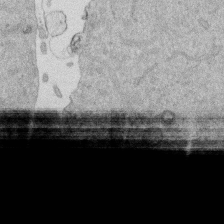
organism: Mouse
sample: Dividing mouse embryo 1 cell stage